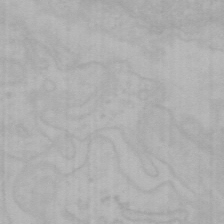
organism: Mouse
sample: Choroid plexus